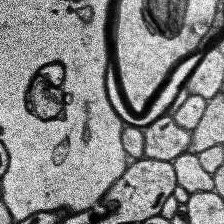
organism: Human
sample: Temporal Lobe